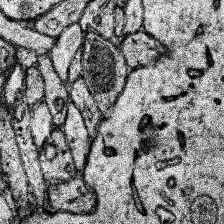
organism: Human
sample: Temporal Lobe